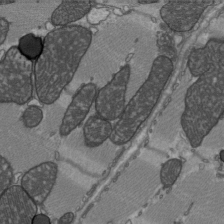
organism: C57BL Mouse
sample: Heart